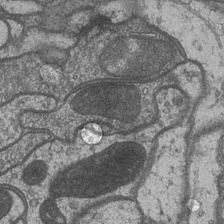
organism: Drosophila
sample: Optic medulla